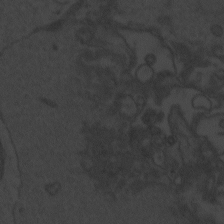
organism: Zebrafish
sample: Macrophage infected with Toxoplasma gondii